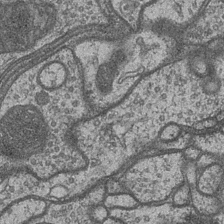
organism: Drosophila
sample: Optic medulla